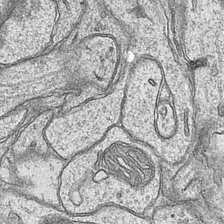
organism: Mouse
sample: CA1 Hippocampus